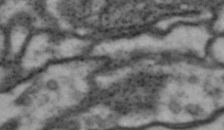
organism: Drosophila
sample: Brain